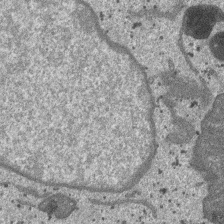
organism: Human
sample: Lung epithelial cells infected with SARS-CoV-2